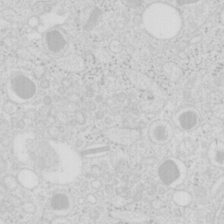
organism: Mouse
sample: Pancreas